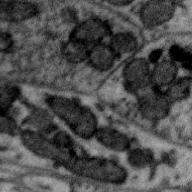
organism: Zebra finch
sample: Brain